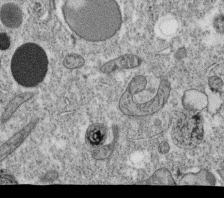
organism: C. elegans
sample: C. elegans oocyte; sperm cells